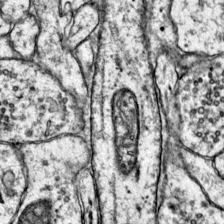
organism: Mouse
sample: Primary visual cortex